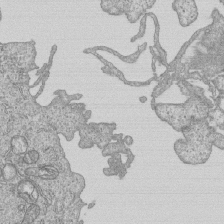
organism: Human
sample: MDA-MB-231 cells